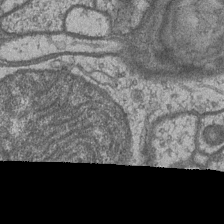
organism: Drosophila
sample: Optic medulla